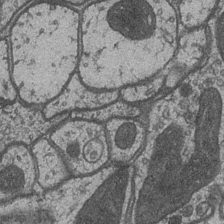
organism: Drosophila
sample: Optic medulla